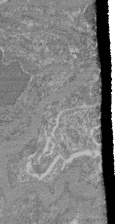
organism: Mouse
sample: Glomerulus